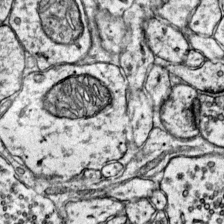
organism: Mouse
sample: Primary visual cortex